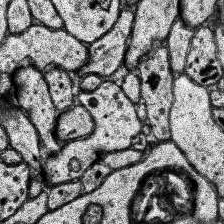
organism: Human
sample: Temporal Lobe